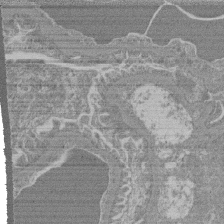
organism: Mouse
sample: Glomerulus